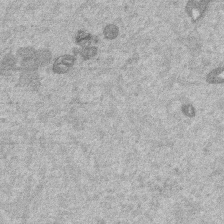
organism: Mouse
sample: Dividing mouse embryo 1 cell stage